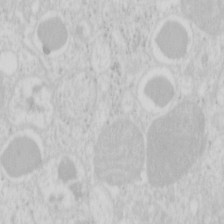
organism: Mouse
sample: Pancreas